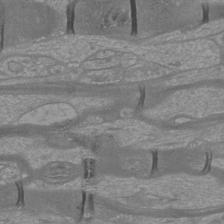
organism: Mouse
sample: Cortical neurons